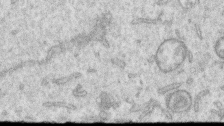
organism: Human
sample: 1205lu cells